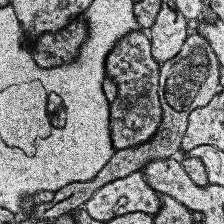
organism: Human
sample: Temporal Lobe